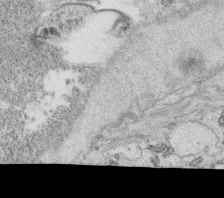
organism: C. elegans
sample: C. elegans oocyte; sperm cells